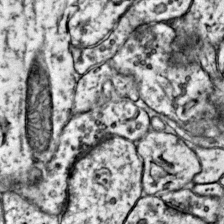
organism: Mouse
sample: Primary visual cortex